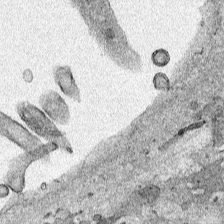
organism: Human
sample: Mitochondria in HCT116 cells